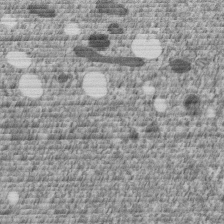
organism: C. elegans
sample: C. elegans embryo early stage